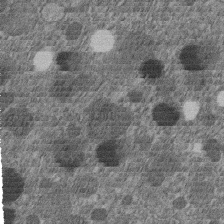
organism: C. elegans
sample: C. elegans embryo early stage